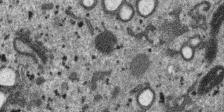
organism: Human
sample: Lung epithelial cells infected with SARS-CoV-2